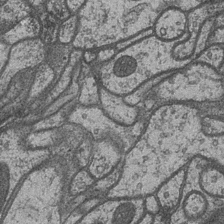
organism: Drosophila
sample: Optic medulla